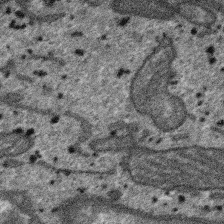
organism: Human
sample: Lung epithelial cells infected with SARS-CoV-2